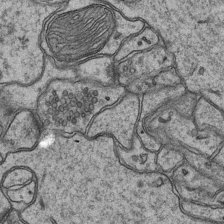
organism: Mouse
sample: CA1 Hippocampus